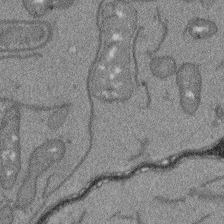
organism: Arabidopsis thaliana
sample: Root tip